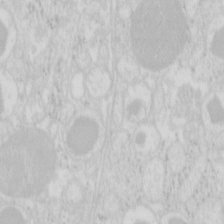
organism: Mouse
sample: Pancreas